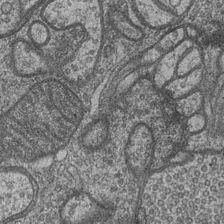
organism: Drosophila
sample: Optic medulla